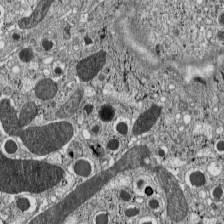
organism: C57BL Mouse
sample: Pancreatic islet